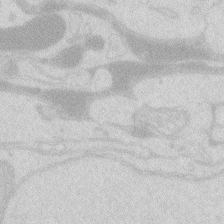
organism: Zebrafish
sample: Macrophage